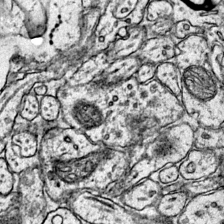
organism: Mouse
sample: Primary visual cortex